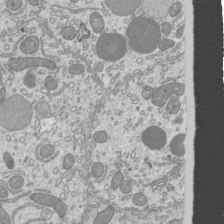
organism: Mouse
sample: Cilia; mouse epididymis